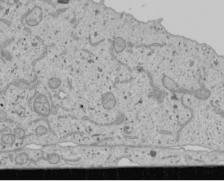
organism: Human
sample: Mitochondria in U2OS cells